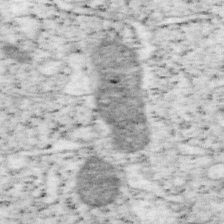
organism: Mouse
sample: OT-I killer T cells with ID8 ovarian cancer cells